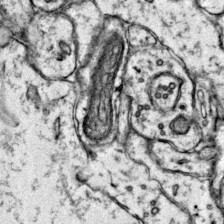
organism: Mouse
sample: Primary visual cortex